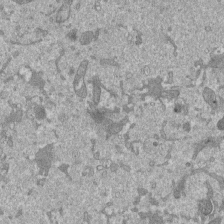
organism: Mouse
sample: ED-1 cell nuclei; centrioles